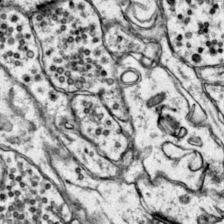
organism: Mouse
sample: Primary visual cortex